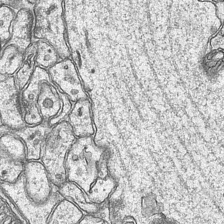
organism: Mouse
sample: CA1 Hippocampus